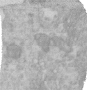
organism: Human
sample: Centriole in RPE cells